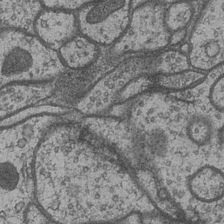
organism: Drosophila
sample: Optic medulla